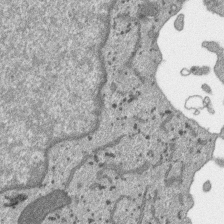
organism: Human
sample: Lung epithelial cells infected with SARS-CoV-2